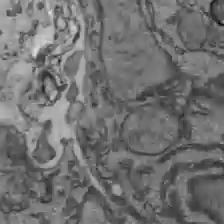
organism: C57BL Mouse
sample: Liver